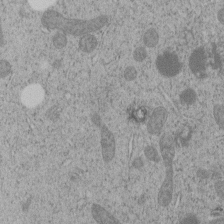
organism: C. elegans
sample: C. elegans embryo early stage